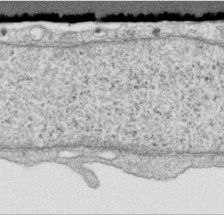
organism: Human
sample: Centriole in RPE cells